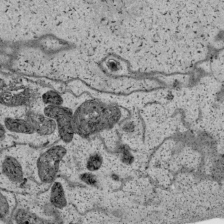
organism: Human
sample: Mitochondria in HCT116 cells